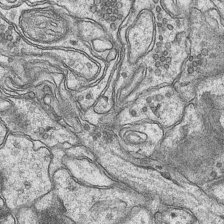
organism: Mouse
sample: CA1 Hippocampus